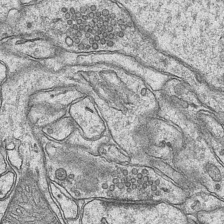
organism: Mouse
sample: CA1 Hippocampus